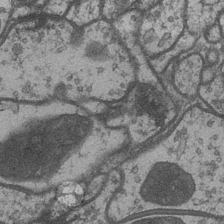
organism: Drosophila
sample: Optic medulla